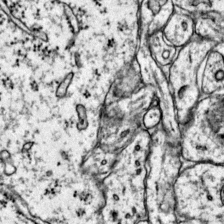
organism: Mouse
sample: Primary visual cortex